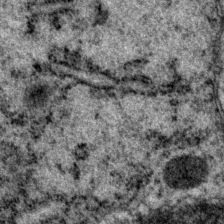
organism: P. pacificus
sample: Pharynx